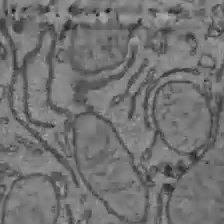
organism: C57BL Mouse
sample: Liver